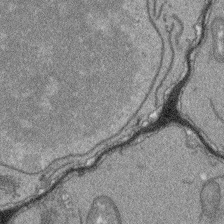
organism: Arabidopsis thaliana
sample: Root tip